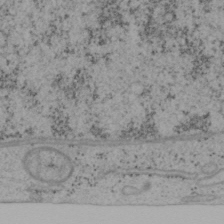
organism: Human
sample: HeLa cells